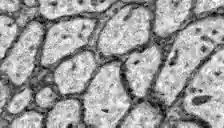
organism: Zebrafish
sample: Brain